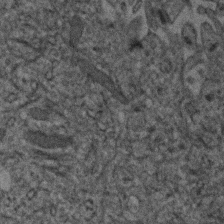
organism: Human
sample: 1205lu cells